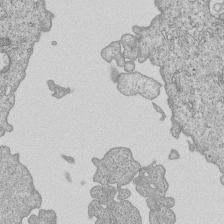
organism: Human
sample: MDA-MB-231 cells